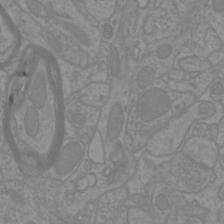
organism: Mouse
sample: Cortical neurons